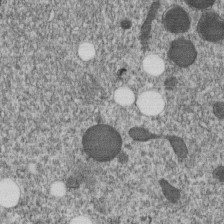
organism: C. elegans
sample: C. elegans embryo early stage